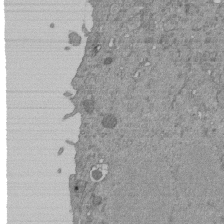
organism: Mouse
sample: ED-1 cell nuclei; centrioles